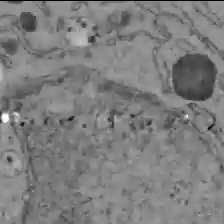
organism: C57BL Mouse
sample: Liver